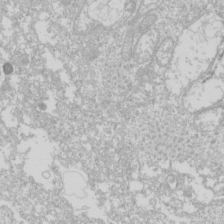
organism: Drosophila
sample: Cell division; meiosis; drosophila spermatocytes